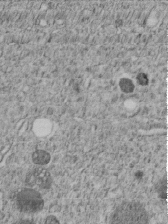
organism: C. elegans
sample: C. elegans embryo early stage